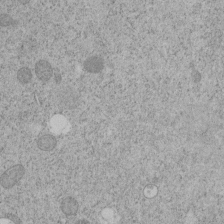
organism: C. elegans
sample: C. elegans embryo early stage